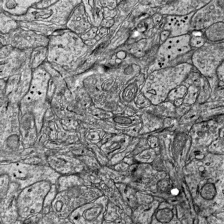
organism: Mouse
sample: Visual Cortex